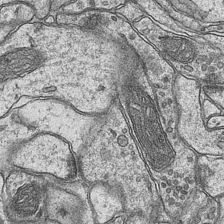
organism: Mouse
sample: CA1 Hippocampus